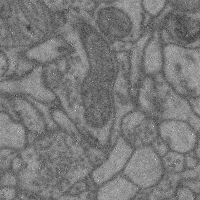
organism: Mouse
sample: Cerebral cortex